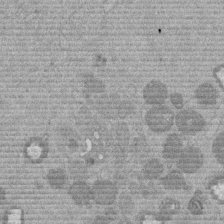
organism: Mouse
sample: Dividing mouse embryo 1 cell stage